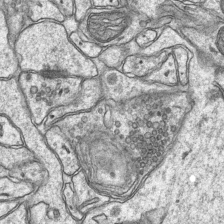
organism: Mouse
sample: CA1 Hippocampus